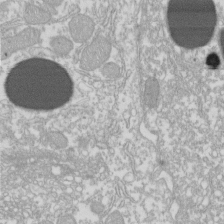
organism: Xenopus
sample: Cilia; centrioles in frog embryo cells